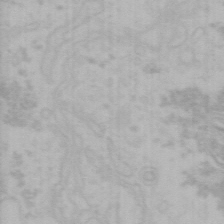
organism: Mouse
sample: Choroid plexus